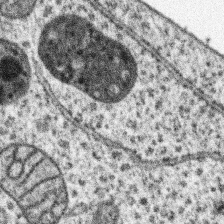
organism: Human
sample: HeLa cells